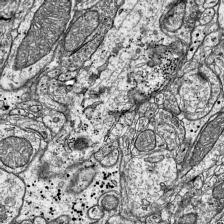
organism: Mouse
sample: Visual Cortex